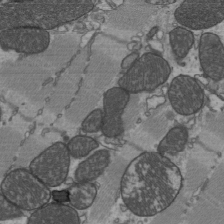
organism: C57BL Mouse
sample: Heart